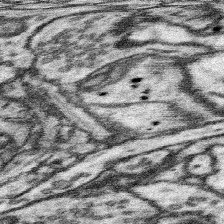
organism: Mouse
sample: Somatosensory cortex neuropil